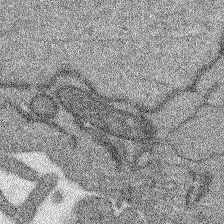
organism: Human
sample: HeLa cells